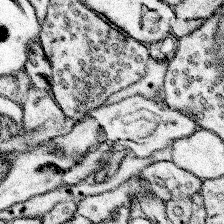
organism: Mouse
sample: Somatosensory cortex neuropil